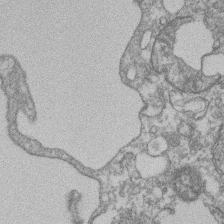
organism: Mouse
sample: T cell stromal cell synapse